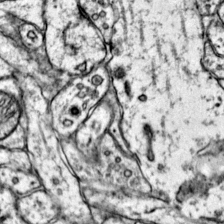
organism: Mouse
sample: Primary visual cortex